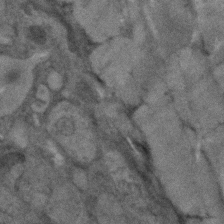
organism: Human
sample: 1205lu cells